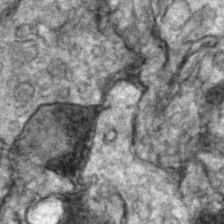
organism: Zebrafish